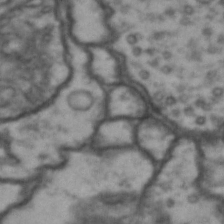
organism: Drosophila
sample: Brain